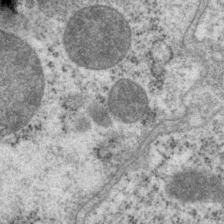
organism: P. pacificus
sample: Pharynx